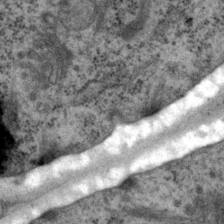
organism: P. pacificus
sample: Pharynx